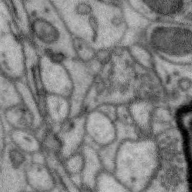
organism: Zebra finch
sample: Brain